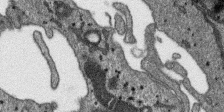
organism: Human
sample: Lung epithelial cells infected with SARS-CoV-2